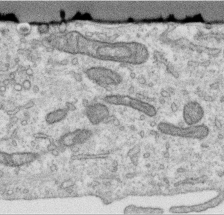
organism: Human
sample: Centriole in RPE cells